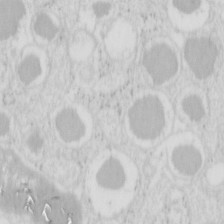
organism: Mouse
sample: Pancreas